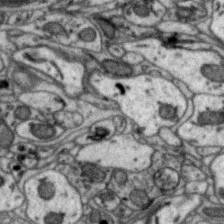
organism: Zebra finch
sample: Brain